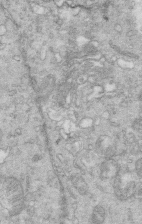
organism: Mouse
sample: Multiciliated cells